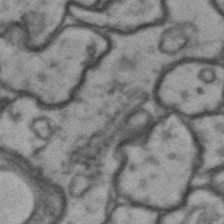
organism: Drosophila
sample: Brain